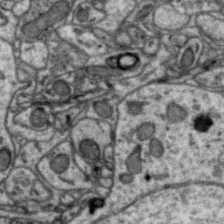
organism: Zebra finch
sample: Brain